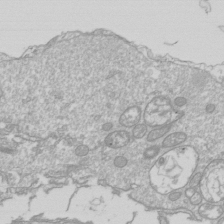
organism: Drosophila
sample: Cell division; meiosis; drosophila spermatocytes